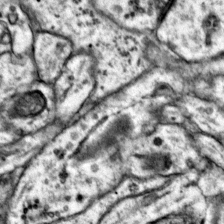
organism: Mouse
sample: Primary visual cortex